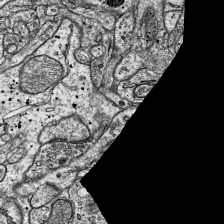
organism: Mouse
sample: Visual Cortex